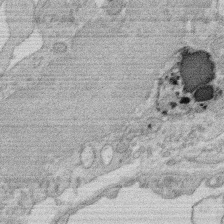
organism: Rat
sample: Salivary granule